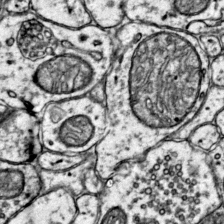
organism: Mouse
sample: Primary visual cortex